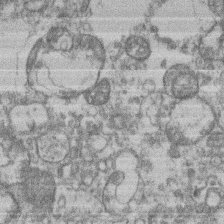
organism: Mouse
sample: T cell stromal cell synapse